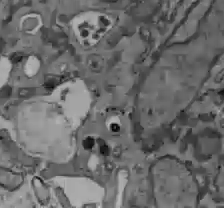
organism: C57BL Mouse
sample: Liver